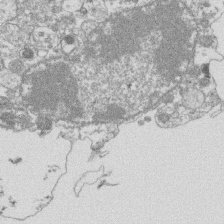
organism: Human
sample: HeLa cell HIV synapse